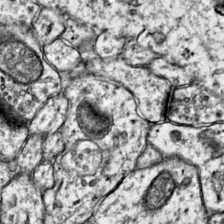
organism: Mouse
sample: Primary visual cortex